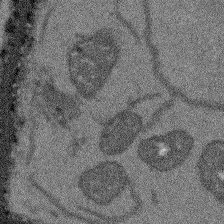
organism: Arabidopsis thaliana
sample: Root tip